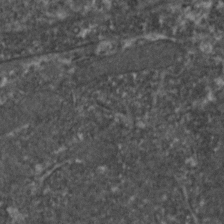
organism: Zebrafish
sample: Zebrafish embryo